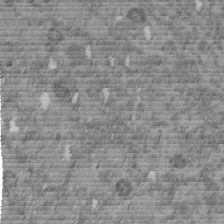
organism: C. elegans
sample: C. elegans embryo early stage